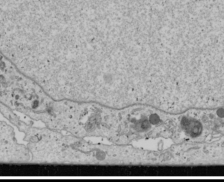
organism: Human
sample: Mitochondria in U2OS cells